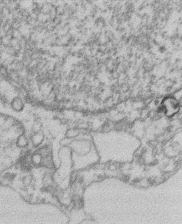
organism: Mouse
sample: T cell stromal cell synapse